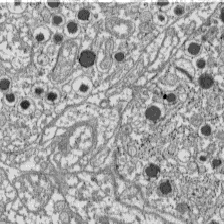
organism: C57BL Mouse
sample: Pancreatic islet